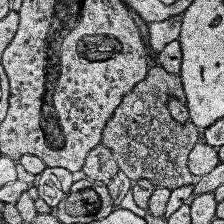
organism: Human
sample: Temporal Lobe